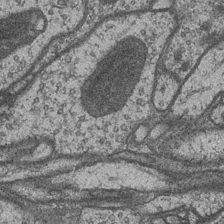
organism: Drosophila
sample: Optic medulla